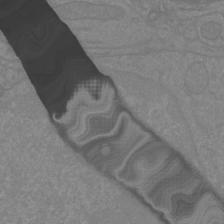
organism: Mouse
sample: Cortical neurons